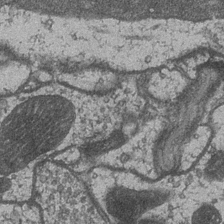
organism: Drosophila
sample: Optic medulla